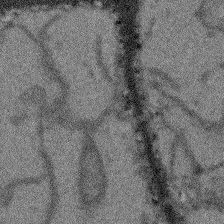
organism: Arabidopsis thaliana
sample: Root tip